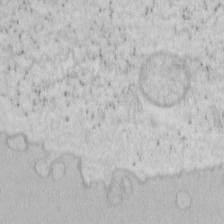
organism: Human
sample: HeLa cells